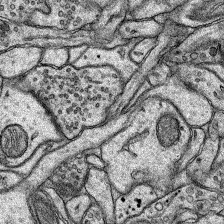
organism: Rat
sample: Hippocampus